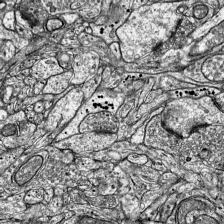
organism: Mouse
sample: Visual Cortex